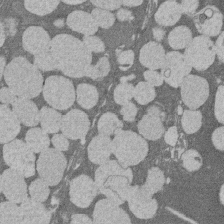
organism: Rat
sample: Salivary granule